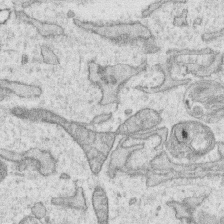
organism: Human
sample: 1205lu cells